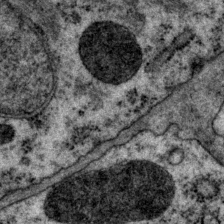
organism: P. pacificus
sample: Pharynx